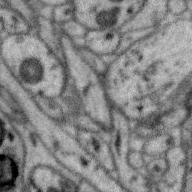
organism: Zebra finch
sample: Brain